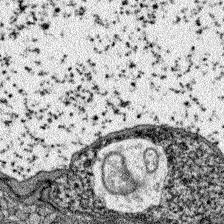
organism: Zebrafish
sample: Larval olfactory bulb